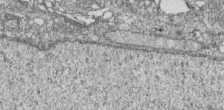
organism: Human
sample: HeLa cell HIV synapse